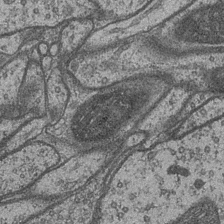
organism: Drosophila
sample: Optic medulla